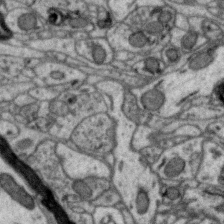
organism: Zebra finch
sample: Brain